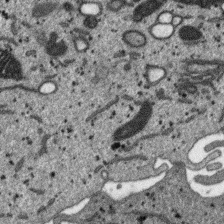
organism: Human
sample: Lung epithelial cells infected with SARS-CoV-2